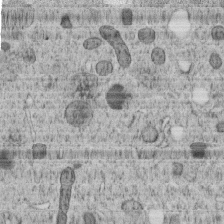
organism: C. elegans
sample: C. elegans embryo early stage